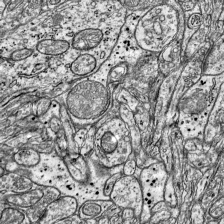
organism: Mouse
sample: Visual Cortex